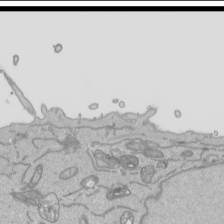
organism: Human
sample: Mitochondria in HCT116 cells